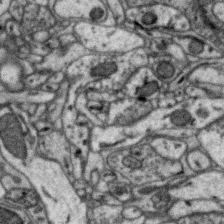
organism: Zebra finch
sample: Brain